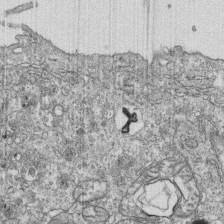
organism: Human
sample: HeLa cell HIV synapse